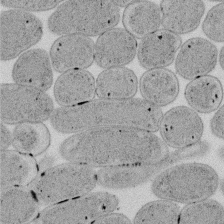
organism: E. coli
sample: Bacterial nucleoid